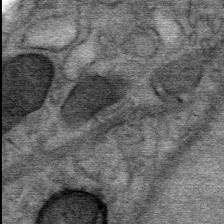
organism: Mouse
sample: Mouse Salivary gland